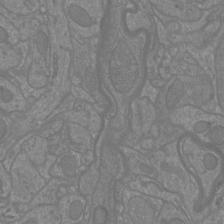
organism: Mouse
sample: Cortical neurons